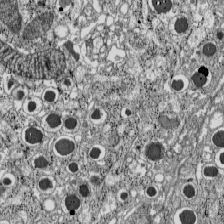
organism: C57BL Mouse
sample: Pancreatic islet